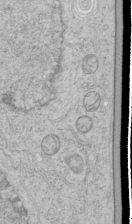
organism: Human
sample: Mitochondria in HCT116 cells